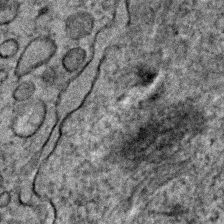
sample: Trachea